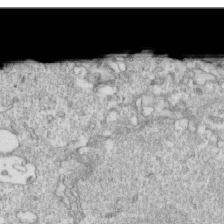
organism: Mouse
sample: Activated OT-1 CD8+ T cells